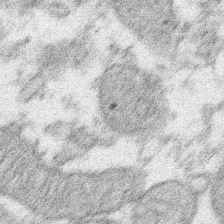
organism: Xenopus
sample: Cilia; centrioles in frog embryo cells